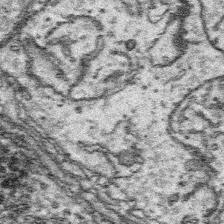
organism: Platynereis dumerilii